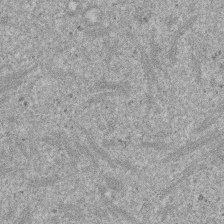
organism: Mouse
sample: Dividing mouse embryo 1 cell stage